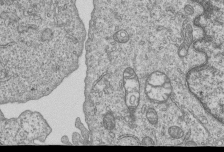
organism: Human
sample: MDA-MB-231 cells